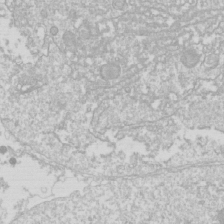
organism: Drosophila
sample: Cell division; meiosis; drosophila spermatocytes